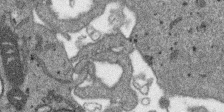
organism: Human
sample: Lung epithelial cells infected with SARS-CoV-2